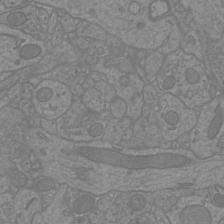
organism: Mouse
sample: Cortical neurons